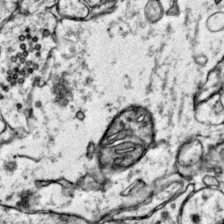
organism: Mouse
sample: Primary visual cortex